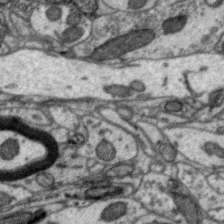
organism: Zebra finch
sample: Brain